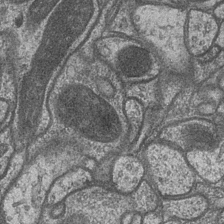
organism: Drosophila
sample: Optic medulla